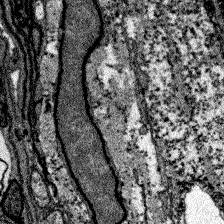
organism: Zebrafish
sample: Larval olfactory bulb